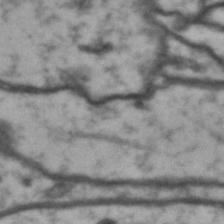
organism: Drosophila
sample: Brain